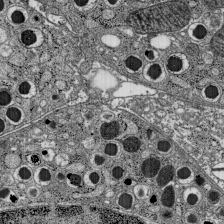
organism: C57BL Mouse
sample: Pancreatic islet